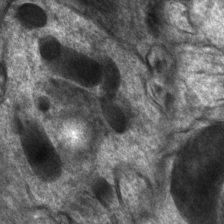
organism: C. elegans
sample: Pharynx